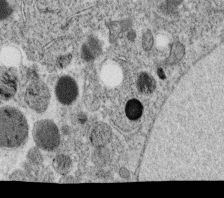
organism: C. elegans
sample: C. elegans oocyte; sperm cells